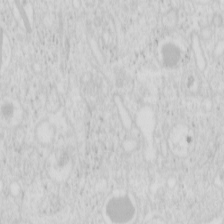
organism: Mouse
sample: Pancreas